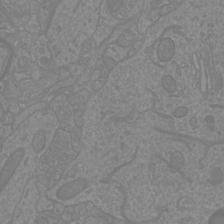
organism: Mouse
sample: Cortical neurons